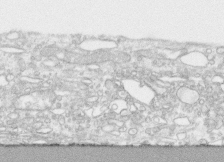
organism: Human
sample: CRL-1474